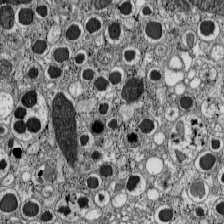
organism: C57BL Mouse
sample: Pancreatic islet